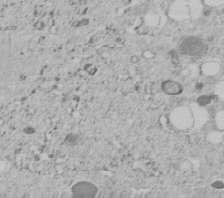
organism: C. elegans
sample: C. elegans embryo early stage